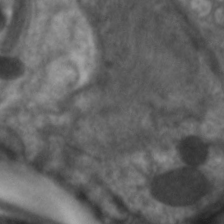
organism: C. elegans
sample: Pharynx